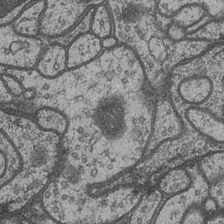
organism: Drosophila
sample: Optic medulla